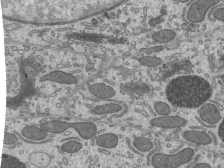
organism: Mouse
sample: Mouse epididymis efferent ductule cilia